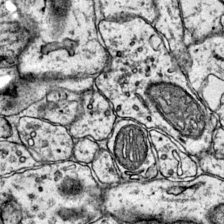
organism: Mouse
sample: Primary visual cortex